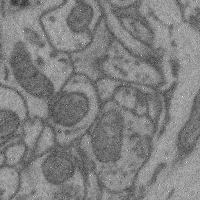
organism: Mouse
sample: Cerebral cortex